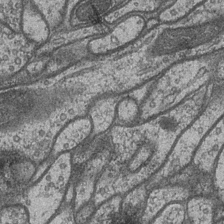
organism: Drosophila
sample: Optic medulla